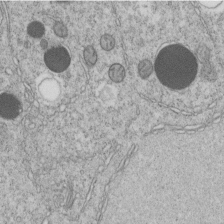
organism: C. elegans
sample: C. elegans embryo early stage